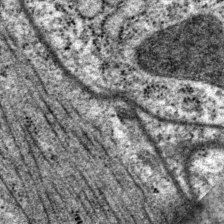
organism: P. pacificus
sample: Pharynx